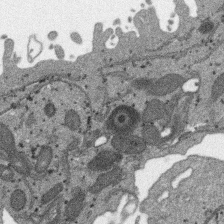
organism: Human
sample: Lung epithelial cells infected with SARS-CoV-2